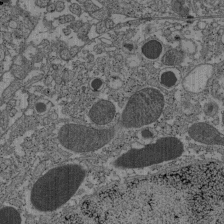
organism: C57BL Mouse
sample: Pancreatic islet